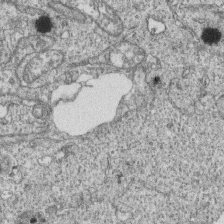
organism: Human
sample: HeLa cell HIV synapse